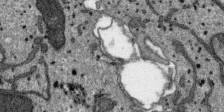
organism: Human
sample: Lung epithelial cells, uninfected (mock) control